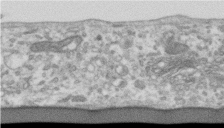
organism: Human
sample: Centriole in RPE cells